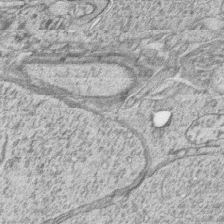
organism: Zebrafish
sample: synaptic ribbons in rod cells and cone cells